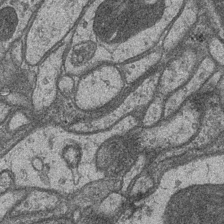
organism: Drosophila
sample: Optic medulla